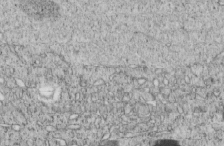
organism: C. elegans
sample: C. elegans embryo early stage